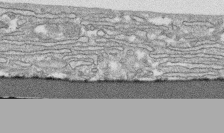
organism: Human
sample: CRL-1474